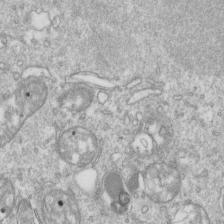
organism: Mouse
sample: Activated OT-1 CD8+ T cells